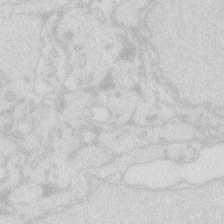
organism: Zebrafish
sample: Macrophage